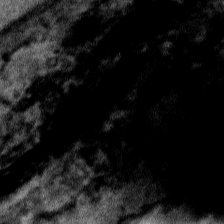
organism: Human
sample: Mitochondria in HCT116 cells